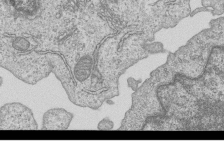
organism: Human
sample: MDA-MB-231 cells